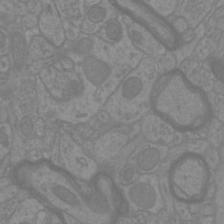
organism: Mouse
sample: Cortical neurons